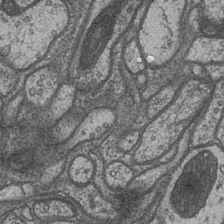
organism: Drosophila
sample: Optic medulla